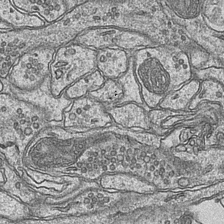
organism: Mouse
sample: CA1 Hippocampus